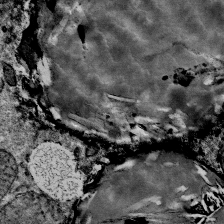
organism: Mouse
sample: Mouse Salivary gland